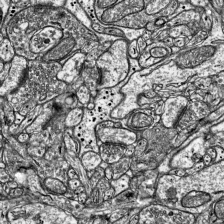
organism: Mouse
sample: Visual Cortex